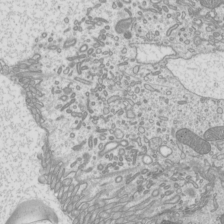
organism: Mouse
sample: Cilia; mouse epididymis